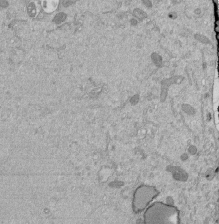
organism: Mouse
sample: ED-1 cell nuclei; centrioles